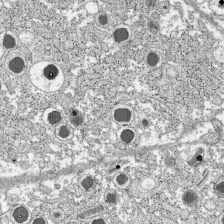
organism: C57BL Mouse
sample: Pancreatic islet